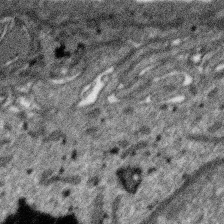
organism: Human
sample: Lung epithelial cells infected with SARS-CoV-2